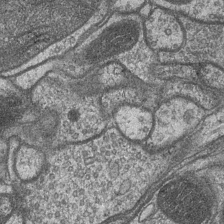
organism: Drosophila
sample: Optic medulla